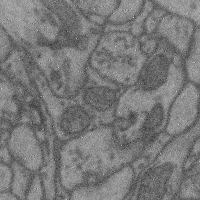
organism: Mouse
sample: Cerebral cortex